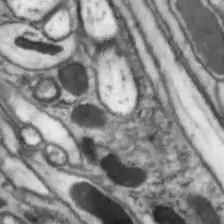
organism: Drosophila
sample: Optic lobe